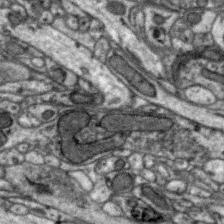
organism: Zebra finch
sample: Brain